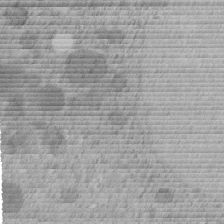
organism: C. elegans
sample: C. elegans embryo early stage